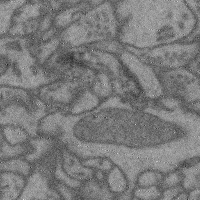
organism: Mouse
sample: Cerebral cortex